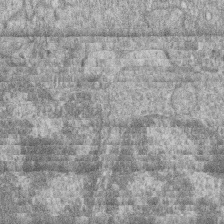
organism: Zebrafish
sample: Cilia; retinal pigment epithelium